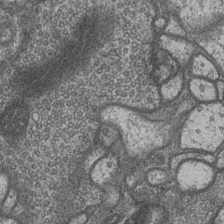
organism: Drosophila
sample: Optic medulla